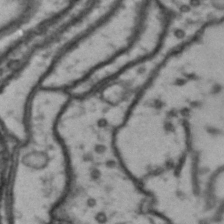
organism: Drosophila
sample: Brain